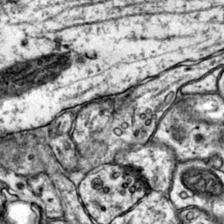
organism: Mouse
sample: Primary visual cortex